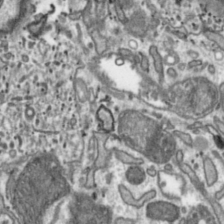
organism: Toxoplasma gondii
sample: Parasites in a vacuole inside a host cell